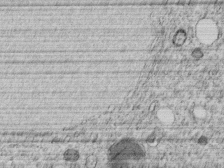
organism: C. elegans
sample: C. elegans embryo early stage